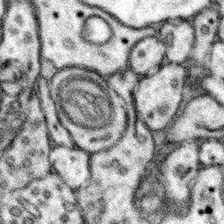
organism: Mouse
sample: Somatosensory cortex neuropil